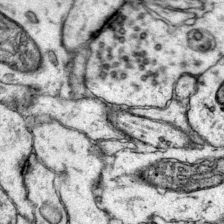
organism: Mouse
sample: Primary visual cortex